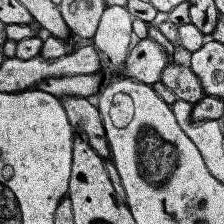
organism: Human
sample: Temporal Lobe